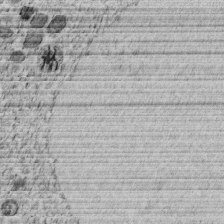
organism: C. elegans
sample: C. elegans embryo early stage